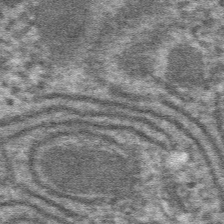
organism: Mouse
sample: Mouse hepatocytes